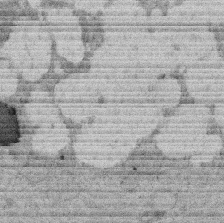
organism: Rat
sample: Salivary granule